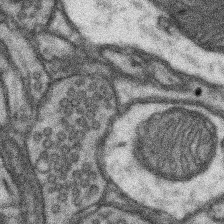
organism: Mouse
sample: Somatosensory cortex neuropil